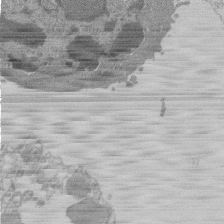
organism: Mouse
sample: Activated Pmel transgenic CD8+ T Cells